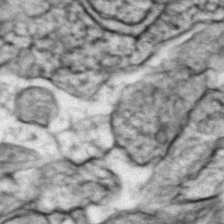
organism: Zebrafish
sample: Zebrafish embryo